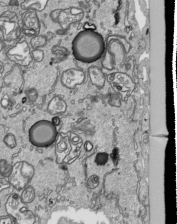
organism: Human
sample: Mitochondria in HCT116 cells